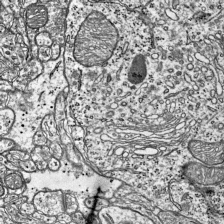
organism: Mouse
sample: Visual Cortex